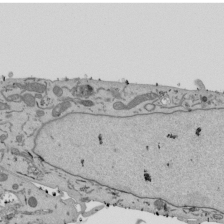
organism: Mouse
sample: ED-1 cell nuclei; centrioles